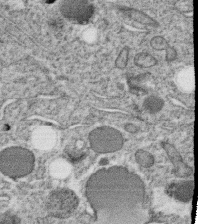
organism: C. elegans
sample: C. elegans oocyte; sperm cells